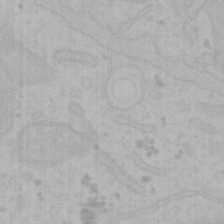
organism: Mouse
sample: Choroid plexus